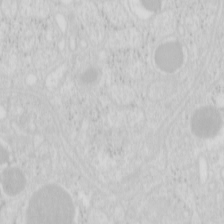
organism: Mouse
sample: Pancreas